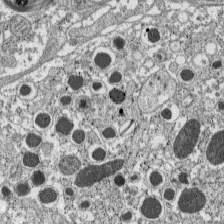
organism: C57BL Mouse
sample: Pancreatic islet